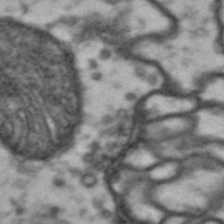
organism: Drosophila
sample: Brain